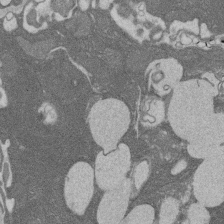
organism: Rat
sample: Salivary granule